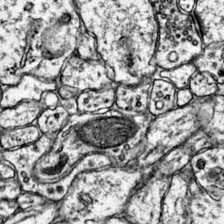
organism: Mouse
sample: Primary visual cortex